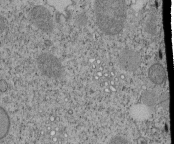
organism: Tetrahymena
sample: Cilia in tetrahymena